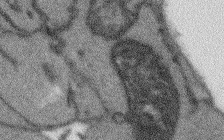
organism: Arabidopsis thaliana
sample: Root tip